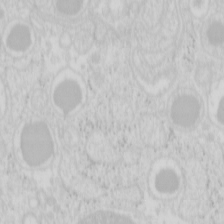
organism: Mouse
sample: Pancreas